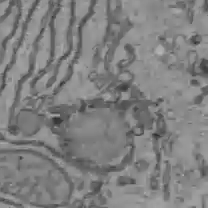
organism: C57BL Mouse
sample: Liver